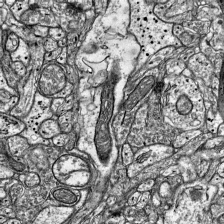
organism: Mouse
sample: Visual Cortex